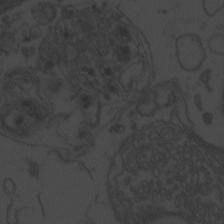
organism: Zebrafish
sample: Macrophage infected with Toxoplasma gondii